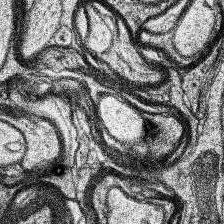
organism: Human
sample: Temporal Lobe